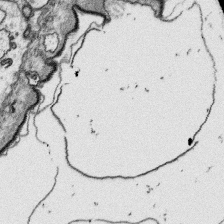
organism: Platynereis dumerilii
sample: Parapodia